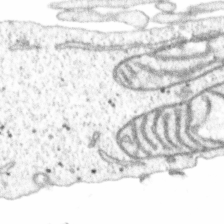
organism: Human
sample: HeLa cells